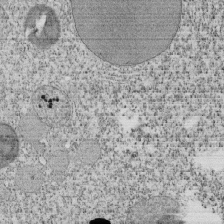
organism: Tetrahymena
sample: Cilia in tetrahymena